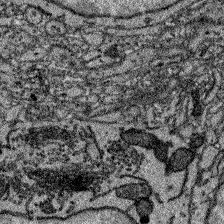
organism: Zebrafish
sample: Larval olfactory bulb